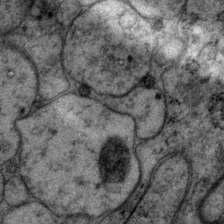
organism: P. pacificus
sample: Pharynx